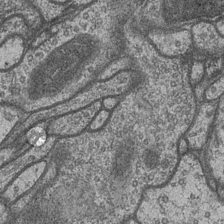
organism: Drosophila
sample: Optic medulla